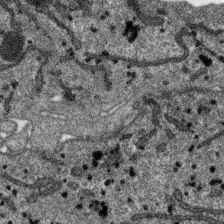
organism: Human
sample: Lung epithelial cells infected with SARS-CoV-2